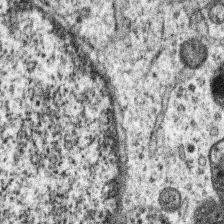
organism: Human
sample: HeLa cells